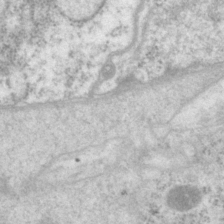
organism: P. pacificus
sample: Pharynx